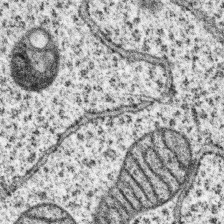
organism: Human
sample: HeLa cells